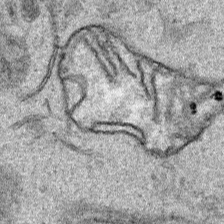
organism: Human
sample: Mitochondria in HCT116 cells